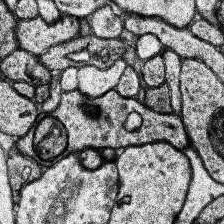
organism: Human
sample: Temporal Lobe